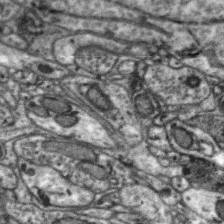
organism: Zebra finch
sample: Brain